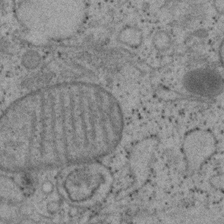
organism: Human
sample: HeLa cells